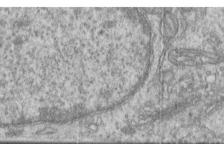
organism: Human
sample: Centriole in RPE cells